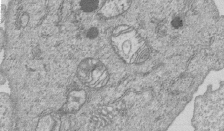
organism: Human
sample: MDA-MB-231 cells